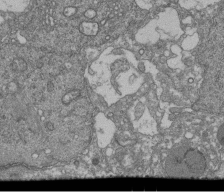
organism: Human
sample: Retinal organoid Rod and Cone cells